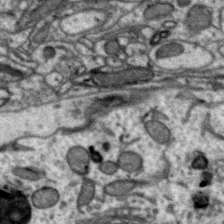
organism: Zebra finch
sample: Brain